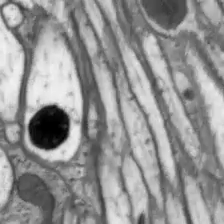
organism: Drosophila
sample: Optic lobe